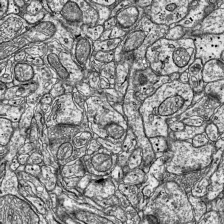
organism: Mouse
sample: Visual Cortex